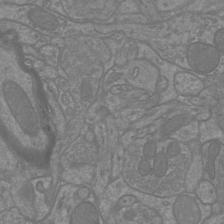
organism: Mouse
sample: Cortical neurons